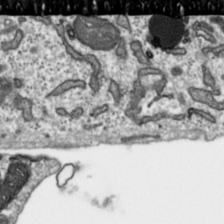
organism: Toxoplasma gondii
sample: Parasites in a vacuole inside a host cell